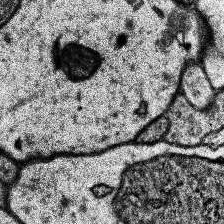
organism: Human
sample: Temporal Lobe